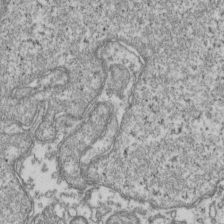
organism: Human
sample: Activated Jurkat CD4+ T cells